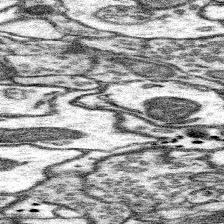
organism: Mouse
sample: Somatosensory cortex neuropil